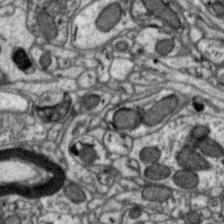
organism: Zebra finch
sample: Brain